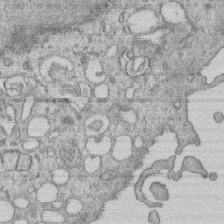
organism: Human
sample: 1205lu cells